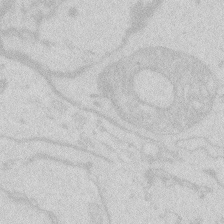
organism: Zebrafish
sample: Macrophage